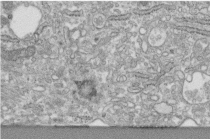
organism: Human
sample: Centriole in fibroblast cells